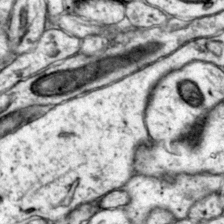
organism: Mouse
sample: Primary visual cortex